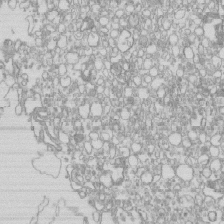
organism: Mouse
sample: Macrophages